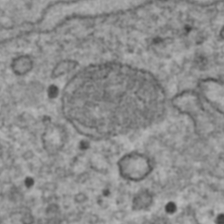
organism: Human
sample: Blood